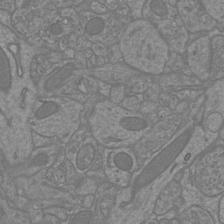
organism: Mouse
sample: Cortical neurons